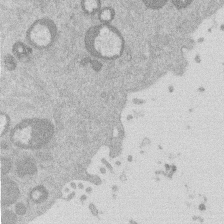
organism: Mouse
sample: Dividing mouse embryo 1 cell stage